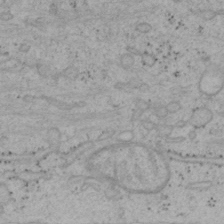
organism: Human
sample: HeLa cells